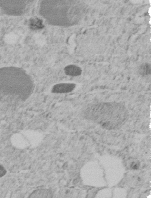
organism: C. elegans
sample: C. elegans embryo early stage